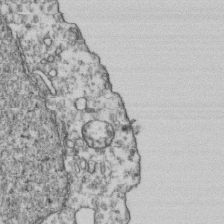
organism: Human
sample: Activated Jurkat CD4+ T cells